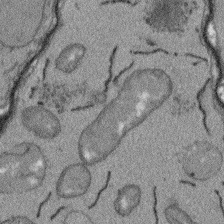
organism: Arabidopsis thaliana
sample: Root tip